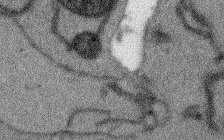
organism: Arabidopsis thaliana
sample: Root tip